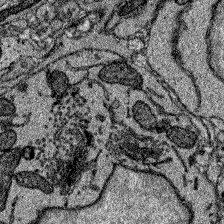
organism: Zebrafish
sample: Larval olfactory bulb